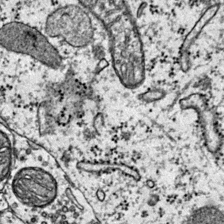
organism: Mouse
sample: Primary visual cortex